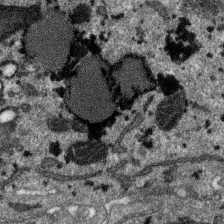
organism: Human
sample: Lung epithelial cells infected with SARS-CoV-2